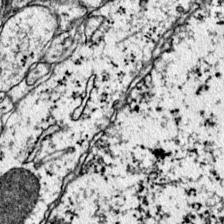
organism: Mouse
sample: Primary visual cortex